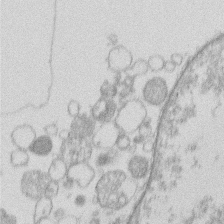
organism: Human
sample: Macrophage cells